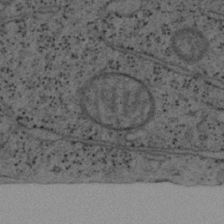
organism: Human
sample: HeLa cells